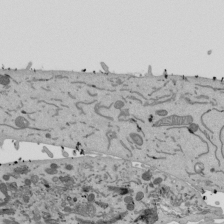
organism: Mouse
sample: ED-1 cell nuclei; centrioles